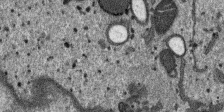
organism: Human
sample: Lung epithelial cells infected with SARS-CoV-2